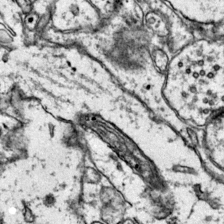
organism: Mouse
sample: Primary visual cortex